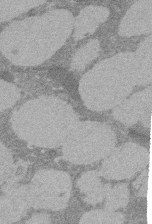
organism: Rat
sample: Salivary granule